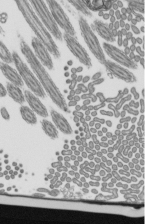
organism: Mouse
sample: Mouse epididymis efferent ductule cilia